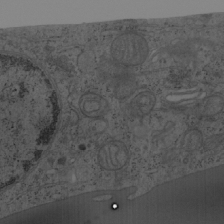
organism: Human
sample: HeLa cells